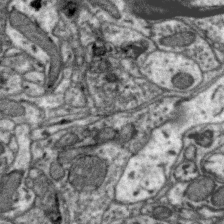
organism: Zebra finch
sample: Brain